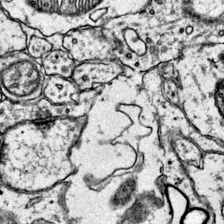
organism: Mouse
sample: Primary visual cortex